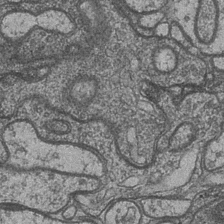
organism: Drosophila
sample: Optic medulla